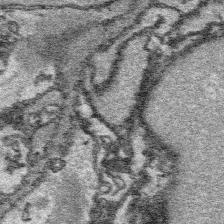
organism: Platynereis dumerilii